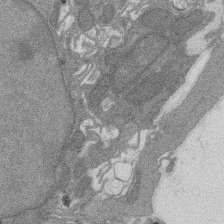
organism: Rat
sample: Salivary granule